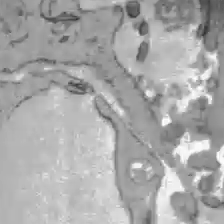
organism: C57BL Mouse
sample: Liver